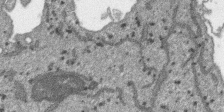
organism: Human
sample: Lung epithelial cells infected with SARS-CoV-2